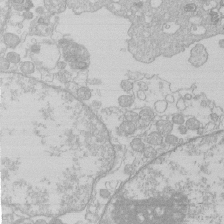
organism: Human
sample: Macrophage cells